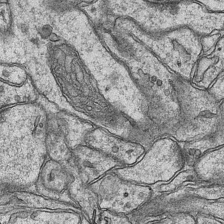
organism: Mouse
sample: CA1 Hippocampus